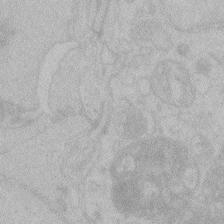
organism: Zebrafish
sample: Macrophage infected with Toxoplasma gondii